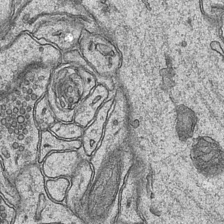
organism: Mouse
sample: CA1 Hippocampus